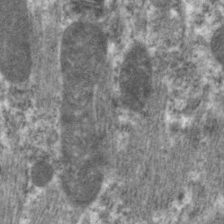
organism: C. elegans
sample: Pharynx